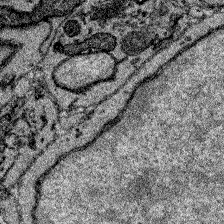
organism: Zebrafish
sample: Larval olfactory bulb